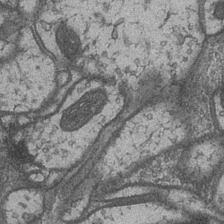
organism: Drosophila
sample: Optic medulla